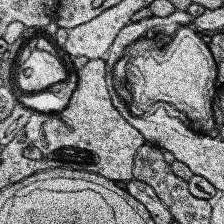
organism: Human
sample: Temporal Lobe